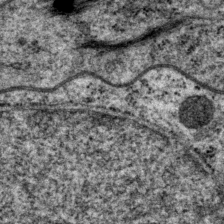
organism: P. pacificus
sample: Pharynx